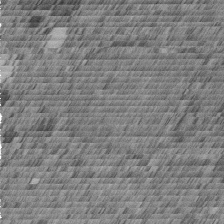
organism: C. elegans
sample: C. elegans embryo early stage